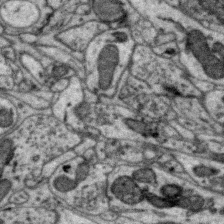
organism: Zebra finch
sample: Brain